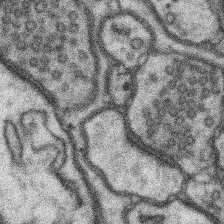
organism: Mouse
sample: Somatosensory cortex neuropil